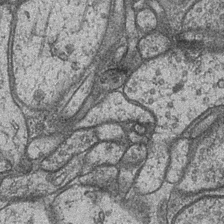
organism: Drosophila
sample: Optic medulla